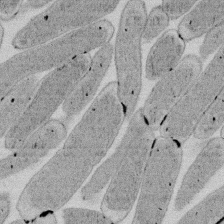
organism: E. coli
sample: Bacterial nucleoid